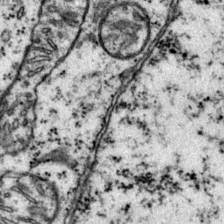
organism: Mouse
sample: Primary visual cortex